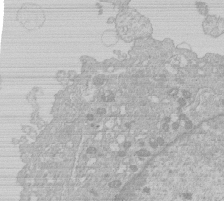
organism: Human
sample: Macrophage cells